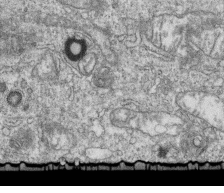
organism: Human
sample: HeLa cell HIV synapse